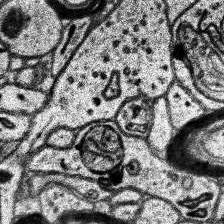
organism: Human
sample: Temporal Lobe